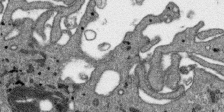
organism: Human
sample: Lung epithelial cells, uninfected (mock) control